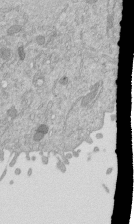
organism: Mouse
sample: ED-1 cell nuclei; centrioles